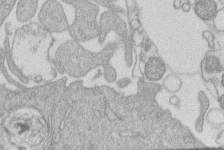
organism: Human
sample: Macrophage cells